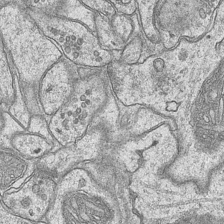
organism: Mouse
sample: CA1 Hippocampus